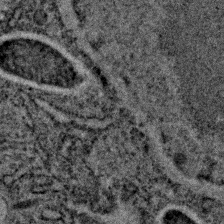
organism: C. elegans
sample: C. elegans embryo